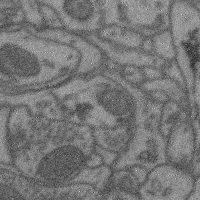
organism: Mouse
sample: Cerebral cortex